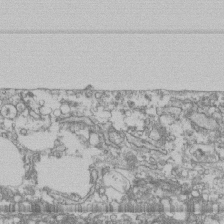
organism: Human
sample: Fibroblast cells